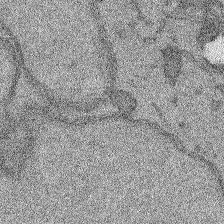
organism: Human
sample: HeLa cells